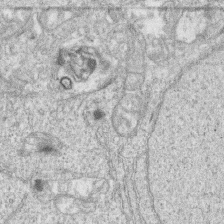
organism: Human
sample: HeLa cell HIV synapse